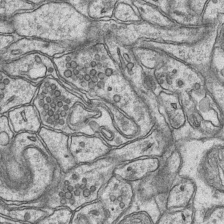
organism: Mouse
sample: CA1 Hippocampus